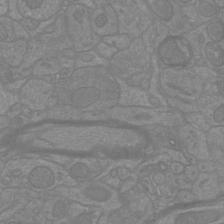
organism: Mouse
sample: Cortical neurons